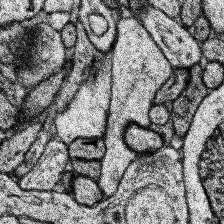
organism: Human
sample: Temporal Lobe